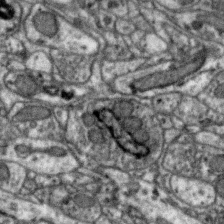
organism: Zebra finch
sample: Brain